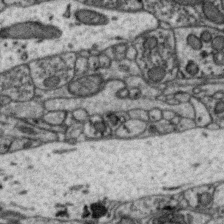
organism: Zebra finch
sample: Brain